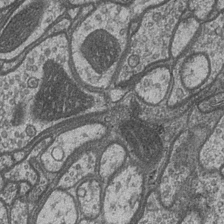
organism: Drosophila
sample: Optic medulla